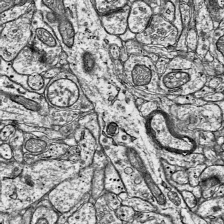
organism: Mouse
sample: Visual Cortex